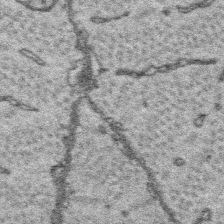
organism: Platynereis dumerilii